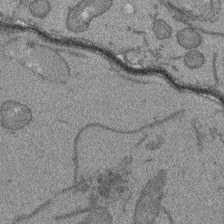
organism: Arabidopsis thaliana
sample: Root tip